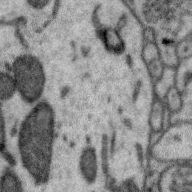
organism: Zebra finch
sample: Brain